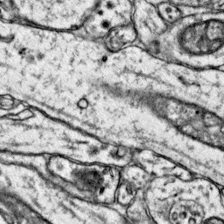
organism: Mouse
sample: Primary visual cortex